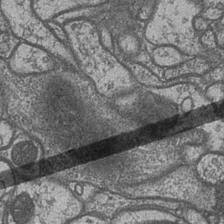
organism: Drosophila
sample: Optic medulla